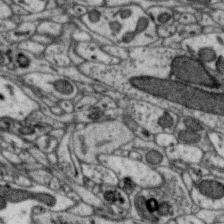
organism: Zebra finch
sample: Brain